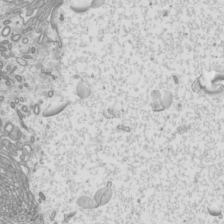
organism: Mouse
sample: Cilia; mouse epididymis